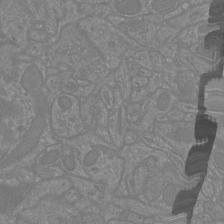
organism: Mouse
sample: Cortical neurons